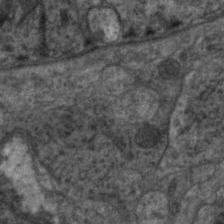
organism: C. elegans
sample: Pharynx